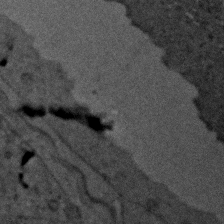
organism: Zebrafish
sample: Zebrafish embryo